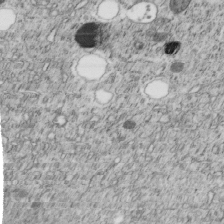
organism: C. elegans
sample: C. elegans embryo early stage